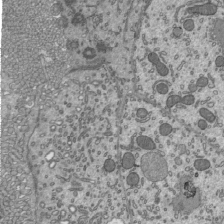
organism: Mouse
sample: Mouse epididymis efferent ductule cilia